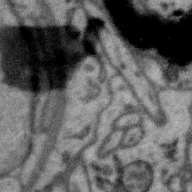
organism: Zebra finch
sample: Brain